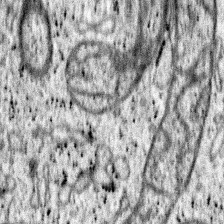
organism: Human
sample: HeLa cells